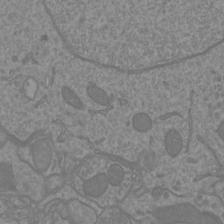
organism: Mouse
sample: Cortical neurons